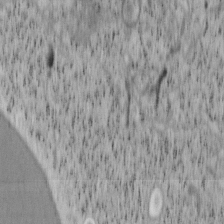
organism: Human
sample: HeLa cells